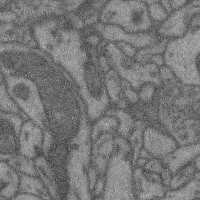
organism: Mouse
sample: Cerebral cortex